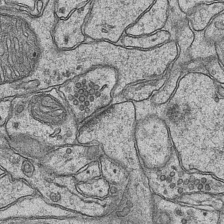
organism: Mouse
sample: CA1 Hippocampus